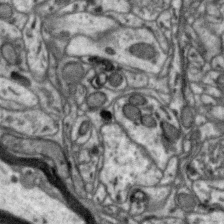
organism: Zebra finch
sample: Brain